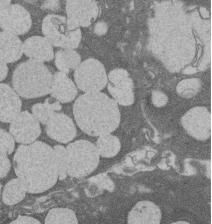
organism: Rat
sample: Salivary granule